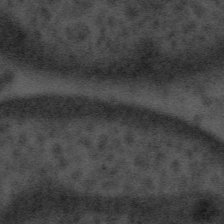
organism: Tuwongella immobilis